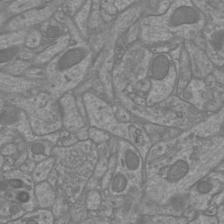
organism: Mouse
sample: Cortical neurons